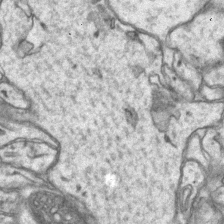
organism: Mouse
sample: CA1 Hippocampus